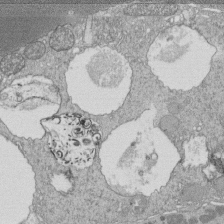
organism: Tetrahymena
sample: Cilia in tetrahymena